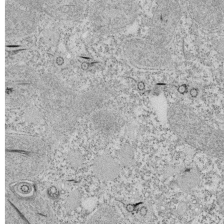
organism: Tetrahymena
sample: Cilia in tetrahymena